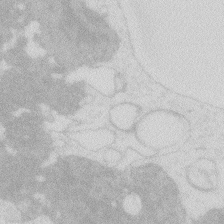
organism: Zebrafish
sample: Macrophage